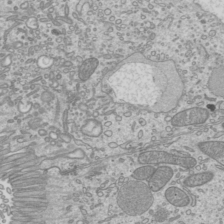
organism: Mouse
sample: Cilia; mouse epididymis